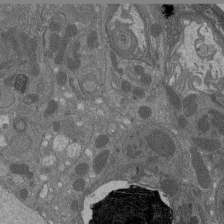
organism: Drosophila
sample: Antenna